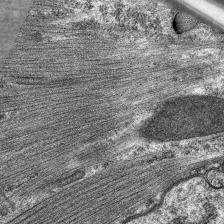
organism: C. elegans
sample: Pharynx